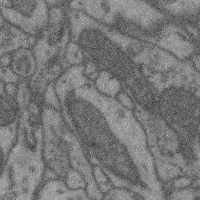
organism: Mouse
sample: Cerebral cortex